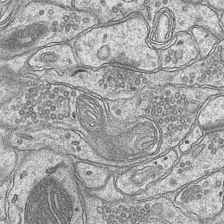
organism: Mouse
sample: CA1 Hippocampus